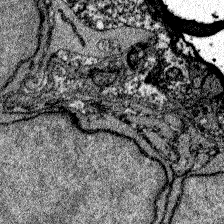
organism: Zebrafish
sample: Larval olfactory bulb